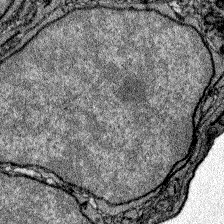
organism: Zebrafish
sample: Larval olfactory bulb